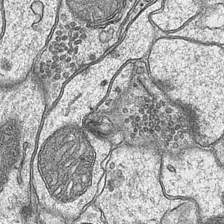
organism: Mouse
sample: CA1 Hippocampus